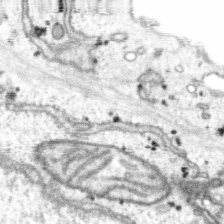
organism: Human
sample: HeLa cells